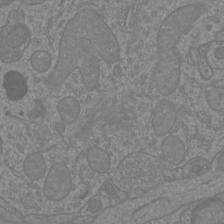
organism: Mouse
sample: Cortical neurons